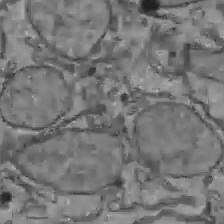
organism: C57BL Mouse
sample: Liver